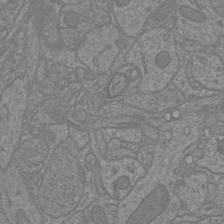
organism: Mouse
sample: Cortical neurons